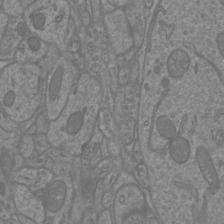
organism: Mouse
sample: Cortical neurons